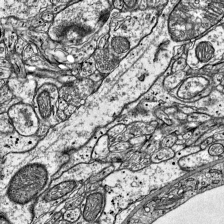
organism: Mouse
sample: Visual Cortex